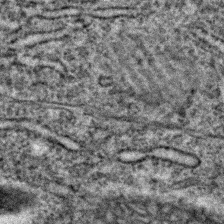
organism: C. elegans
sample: C. elegans embryo